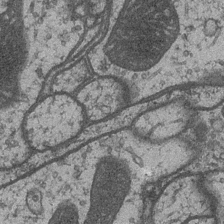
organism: Drosophila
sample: Optic medulla